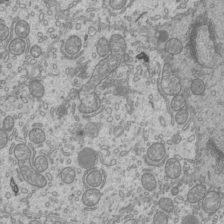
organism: Mouse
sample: Cilia; mouse epididymis